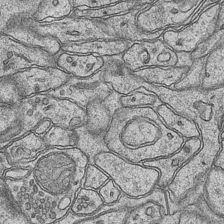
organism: Mouse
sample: CA1 Hippocampus